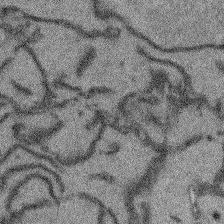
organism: Arabidopsis thaliana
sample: Root tip